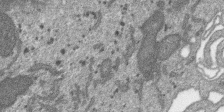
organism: Human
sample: Lung epithelial cells infected with SARS-CoV-2